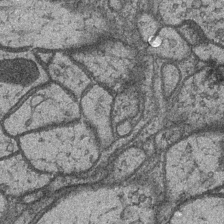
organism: Drosophila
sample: Optic medulla